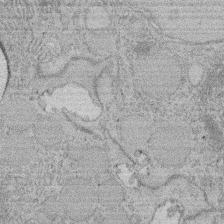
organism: Rat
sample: Salivary granule